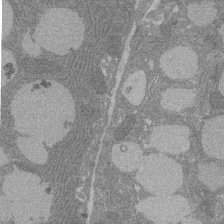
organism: Rat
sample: Salivary granule